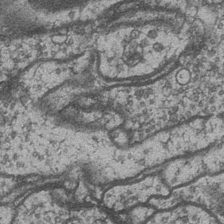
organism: Drosophila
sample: Optic medulla